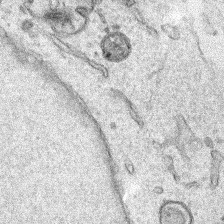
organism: Human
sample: Mitochondria in HCT116 cells